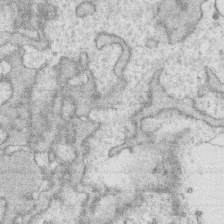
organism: Human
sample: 1205lu cells